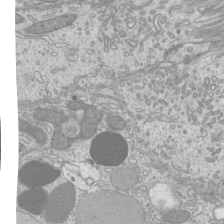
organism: Mouse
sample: Cilia; mouse epididymis